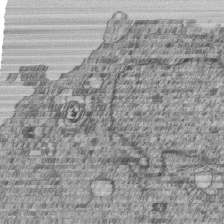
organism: Human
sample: MDA-MB-231 cells